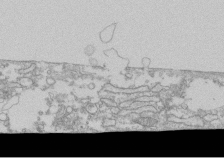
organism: Human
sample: CRL-1474